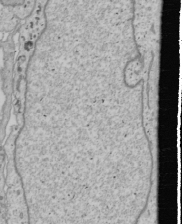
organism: Human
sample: Mitochondria in U2OS cells